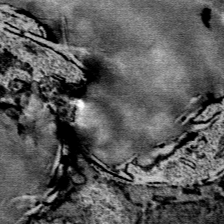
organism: Mouse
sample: Mouse Salivary gland